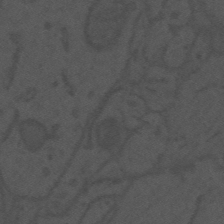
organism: Mouse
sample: Suprachiasmatic nucleus